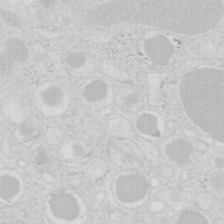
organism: Mouse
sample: Pancreas